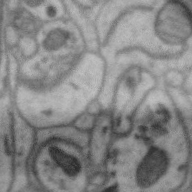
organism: Zebra finch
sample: Brain